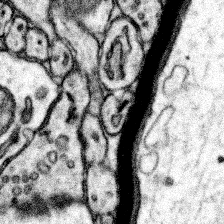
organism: Mouse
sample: Somatosensory cortex neuropil